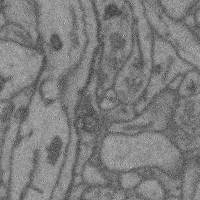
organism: Mouse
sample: Cerebral cortex